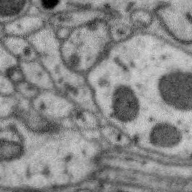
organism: Zebra finch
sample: Brain